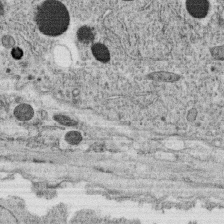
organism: C. elegans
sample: C. elegans oocyte; sperm cells